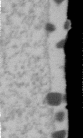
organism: Human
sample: U2-OS cells